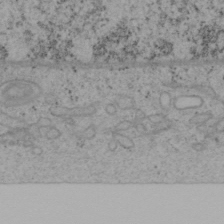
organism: Human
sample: HeLa cells